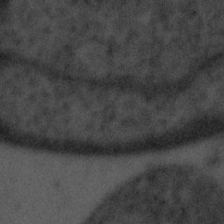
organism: Tuwongella immobilis